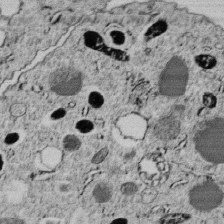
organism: C. elegans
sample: C. elegans embryo early stage